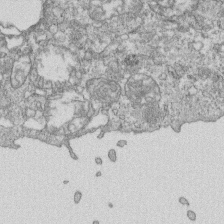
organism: Human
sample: HeLa cell HIV synapse